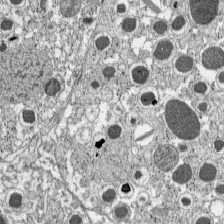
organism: C57BL Mouse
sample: Pancreatic islet